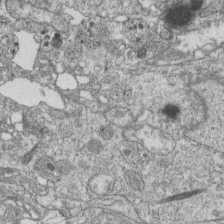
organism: Human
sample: HeLa cell HIV synapse